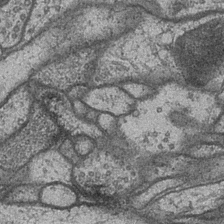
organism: Drosophila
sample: Optic medulla